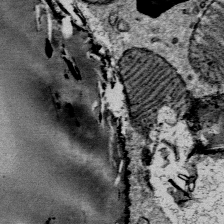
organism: Mouse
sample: Mouse Salivary gland